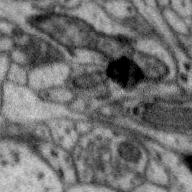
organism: Zebra finch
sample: Brain